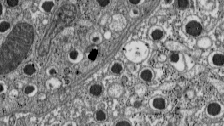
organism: C57BL Mouse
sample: Pancreatic islet